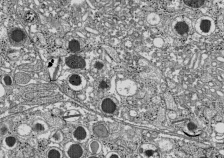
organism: C57BL Mouse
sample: Pancreatic islet